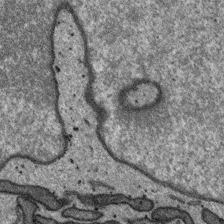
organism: Human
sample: Lung epithelial cells, uninfected (mock) control